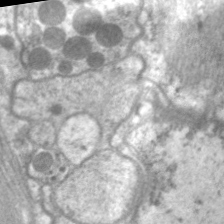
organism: C. elegans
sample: Pharynx